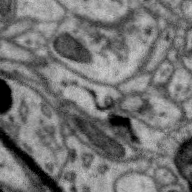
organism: Zebra finch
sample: Brain